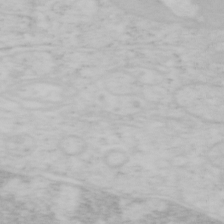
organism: Mouse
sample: OT-I killer T cells with ID8 ovarian cancer cells